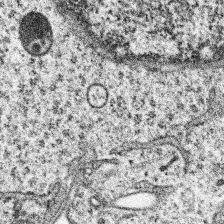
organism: Human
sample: HeLa cells